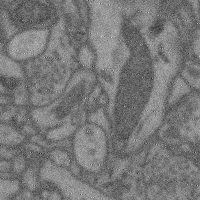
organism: Mouse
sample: Cerebral cortex